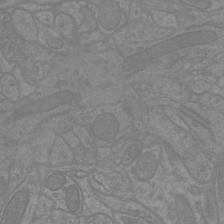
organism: Mouse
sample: Cortical neurons